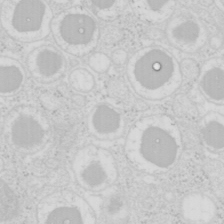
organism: Mouse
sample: Pancreas